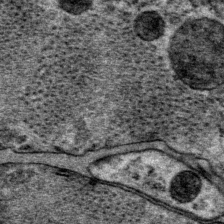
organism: P. pacificus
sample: Pharynx